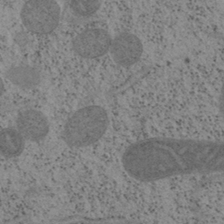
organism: Mouse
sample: OT-I killer T cells with ID8 ovarian cancer cells